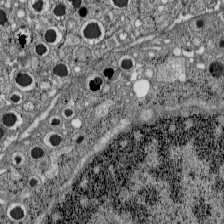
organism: C57BL Mouse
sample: Pancreatic islet